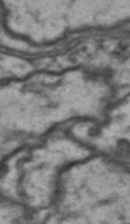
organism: Drosophila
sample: Brain